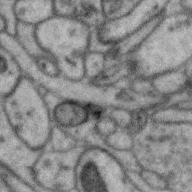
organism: Zebra finch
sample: Brain